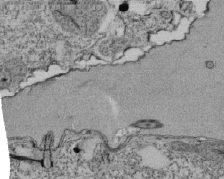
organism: Tetrahymena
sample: Cilia in tetrahymena